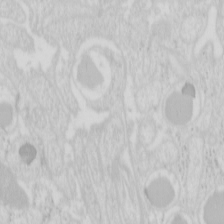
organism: Mouse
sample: Pancreas